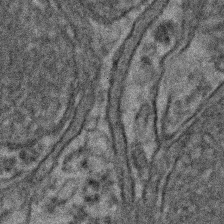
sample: Kidney